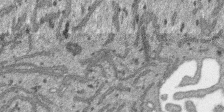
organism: Human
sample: Lung epithelial cells infected with SARS-CoV-2